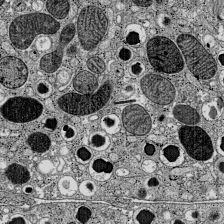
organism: C57BL Mouse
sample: Pancreatic islet